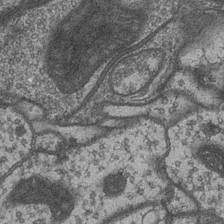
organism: Drosophila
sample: Optic medulla